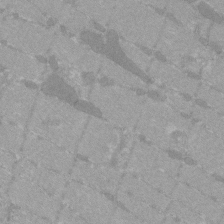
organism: C57BL Mouse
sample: Tibialis anterior muscle cell